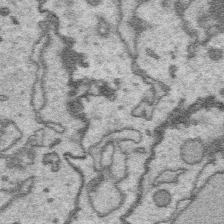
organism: Platynereis dumerilii